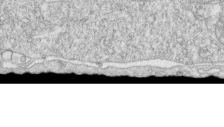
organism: Human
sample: HeLa cell HIV synapse